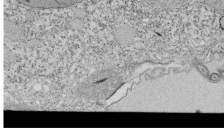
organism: Tetrahymena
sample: Cilia in tetrahymena